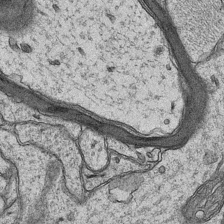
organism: Mouse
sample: CA1 Hippocampus